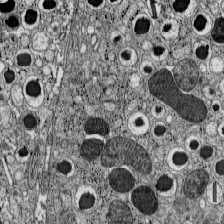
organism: C57BL Mouse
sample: Pancreatic islet